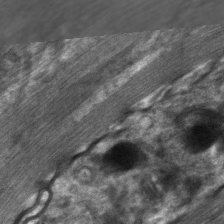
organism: C. elegans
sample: Pharynx